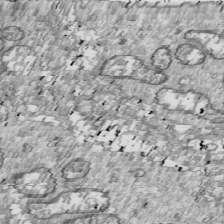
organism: Drosophila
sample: Cell division; meiosis; drosophila spermatocytes